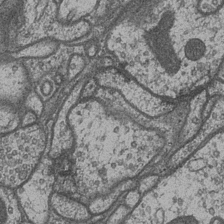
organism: Drosophila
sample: Optic medulla